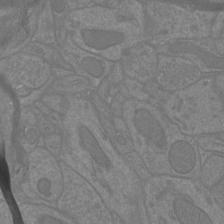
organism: Mouse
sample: Cortical neurons